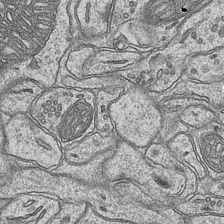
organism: Mouse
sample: CA1 Hippocampus